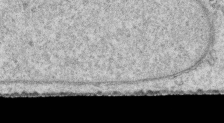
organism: Human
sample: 1205lu cells